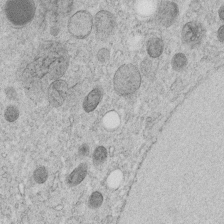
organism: C. elegans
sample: C. elegans embryo early stage